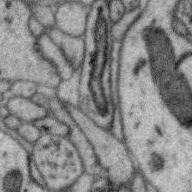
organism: Zebra finch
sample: Brain